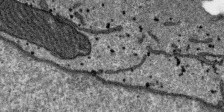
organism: Human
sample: Lung epithelial cells, uninfected (mock) control